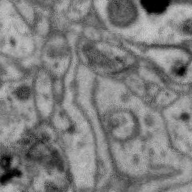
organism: Zebra finch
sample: Brain